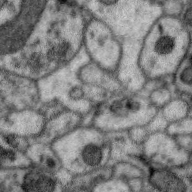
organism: Zebra finch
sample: Brain